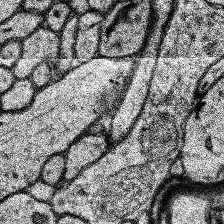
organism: Human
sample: Temporal Lobe